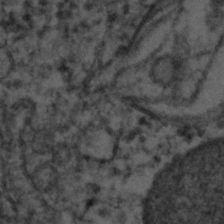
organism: C. elegans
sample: C. elegans embryo